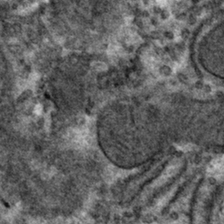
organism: Mouse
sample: Mouse hepatocytes